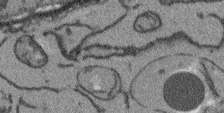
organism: Arabidopsis thaliana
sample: Root tip